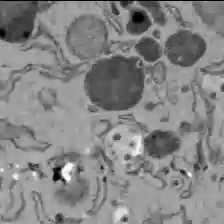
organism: C57BL Mouse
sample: Liver